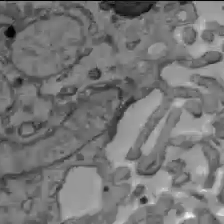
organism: C57BL Mouse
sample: Liver